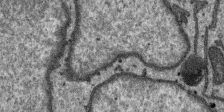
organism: Human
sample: Lung epithelial cells, uninfected (mock) control